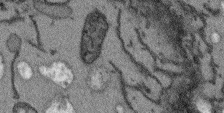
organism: Arabidopsis thaliana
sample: Root tip